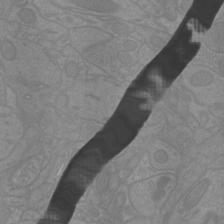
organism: Mouse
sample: Cortical neurons